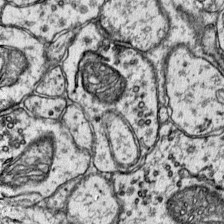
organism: Mouse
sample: Primary visual cortex